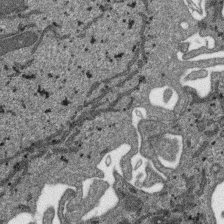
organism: Human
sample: Lung epithelial cells infected with SARS-CoV-2